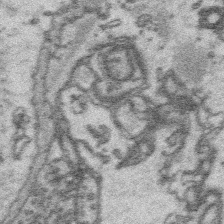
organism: Platynereis dumerilii